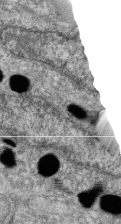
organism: Zebrafish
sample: Cilia; retinal pigment epithelium